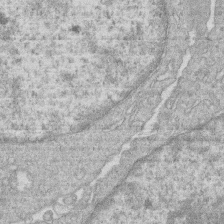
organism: Human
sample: Macrophage cells